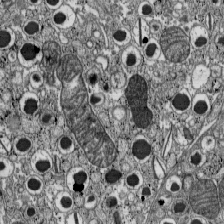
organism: C57BL Mouse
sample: Pancreatic islet